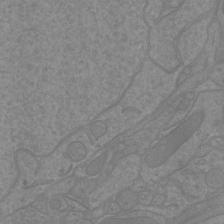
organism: Mouse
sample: Cortical neurons